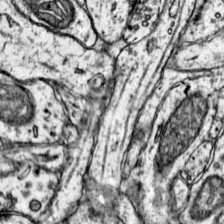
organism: Mouse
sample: Primary visual cortex